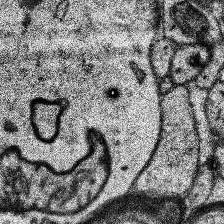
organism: Human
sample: Temporal Lobe